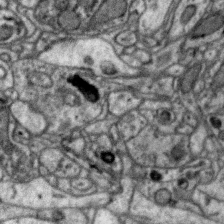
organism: Zebra finch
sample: Brain